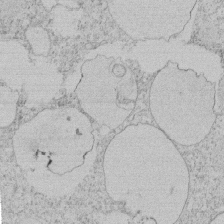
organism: Tetrahymena